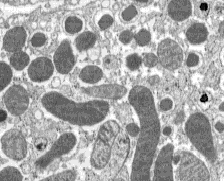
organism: C57BL Mouse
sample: Pancreatic islet